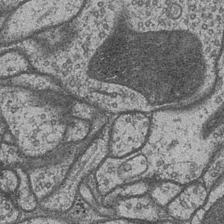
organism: Drosophila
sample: Optic medulla